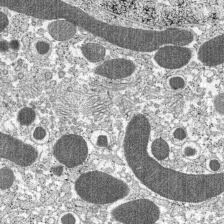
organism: C57BL Mouse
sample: Pancreatic islet